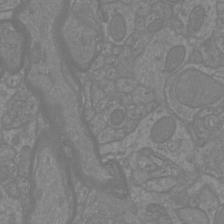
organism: Mouse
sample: Cortical neurons